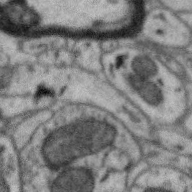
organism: Zebra finch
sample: Brain